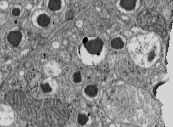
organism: C57BL Mouse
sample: Pancreatic islet